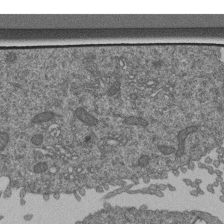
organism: Human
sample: Retinal organoid Rod and Cone cells